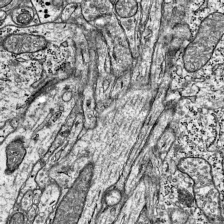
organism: Mouse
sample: Visual Cortex